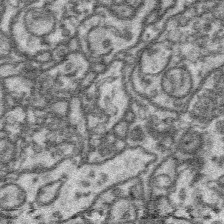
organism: Platynereis dumerilii